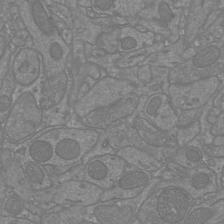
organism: Mouse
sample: Cortical neurons